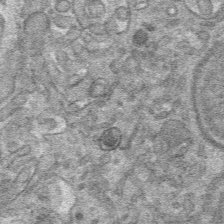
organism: Mouse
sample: Mouse hepatocytes